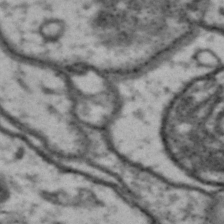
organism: Drosophila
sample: Brain